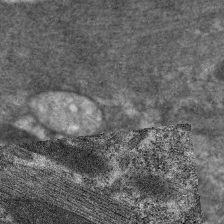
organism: C. elegans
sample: Pharynx